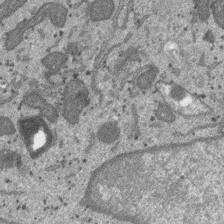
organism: Human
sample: Lung epithelial cells infected with SARS-CoV-2